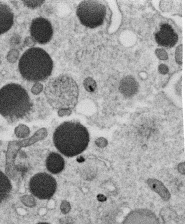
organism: C. elegans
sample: C. elegans oocyte; sperm cells